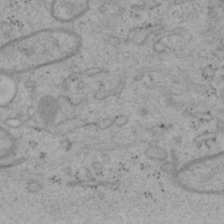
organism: Human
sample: HeLa cells